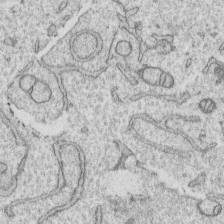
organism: Human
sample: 1205lu cells